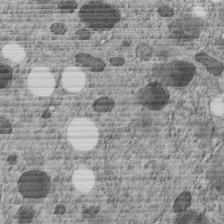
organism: C. elegans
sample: C. elegans embryo early stage